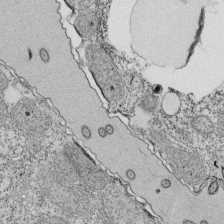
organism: Tetrahymena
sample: Cilia in tetrahymena